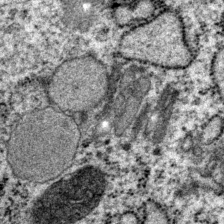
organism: P. pacificus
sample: Pharynx